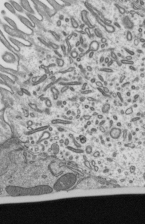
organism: Mouse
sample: Mouse epididymis efferent ductule cilia